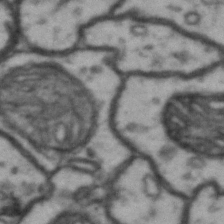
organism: Drosophila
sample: Brain